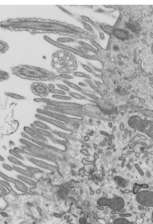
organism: Mouse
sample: Mouse epididymis efferent ductule cilia